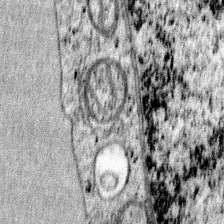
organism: Human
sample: HeLa cells